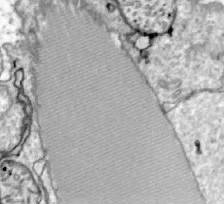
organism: Zebrafish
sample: Actinotrichia fibers